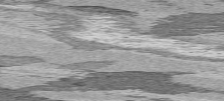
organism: C57BL Mouse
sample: Heart